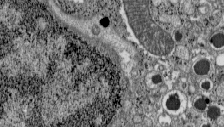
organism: C57BL Mouse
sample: Pancreatic islet